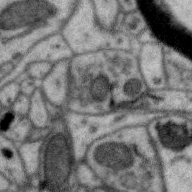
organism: Zebra finch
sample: Brain